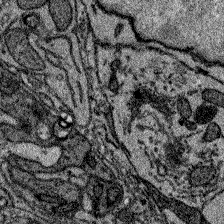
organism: Zebrafish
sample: Larval olfactory bulb